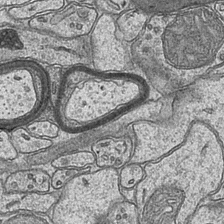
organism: Mouse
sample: CA1 Hippocampus